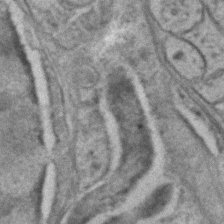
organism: C. elegans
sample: C. elegans embryo